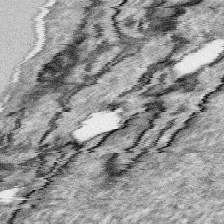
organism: Human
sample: HeLa cells